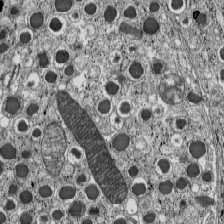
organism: C57BL Mouse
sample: Pancreatic islet